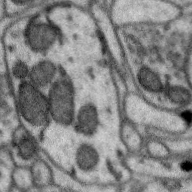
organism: Zebra finch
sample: Brain